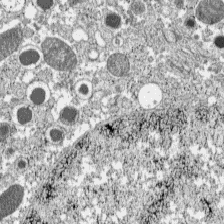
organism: C57BL Mouse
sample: Pancreatic islet